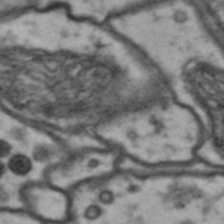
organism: Drosophila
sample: Brain